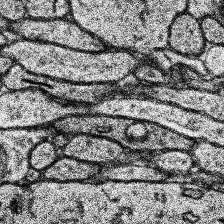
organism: Human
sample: Temporal Lobe